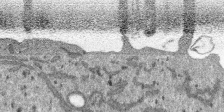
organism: Human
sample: Lung epithelial cells infected with SARS-CoV-2